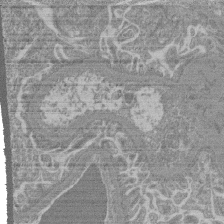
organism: Mouse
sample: Glomerulus